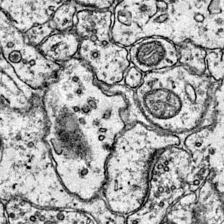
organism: Mouse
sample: Primary visual cortex